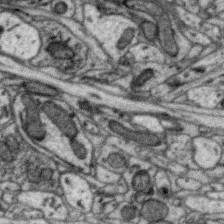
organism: Zebra finch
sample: Brain